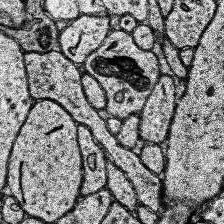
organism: Human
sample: Temporal Lobe